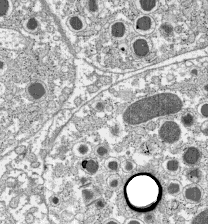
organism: C57BL Mouse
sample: Pancreatic islet